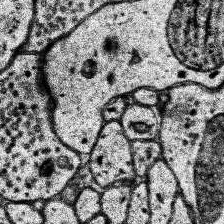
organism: Human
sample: Temporal Lobe